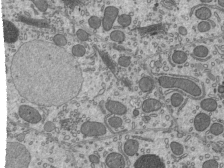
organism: Mouse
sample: Mouse epididymis efferent ductule cilia